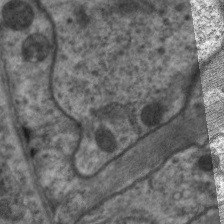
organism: C. elegans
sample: Pharynx